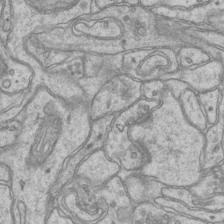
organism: Mouse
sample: CA1 Hippocampus